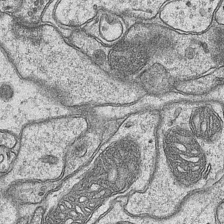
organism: Mouse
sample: CA1 Hippocampus